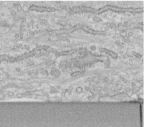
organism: Human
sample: Centriole in fibroblast cells